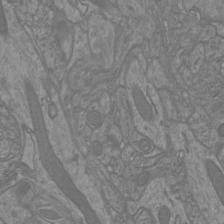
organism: Mouse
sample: Cortical neurons